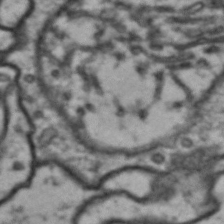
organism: Drosophila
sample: Brain